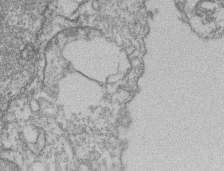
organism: Mouse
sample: T cell stromal cell synapse